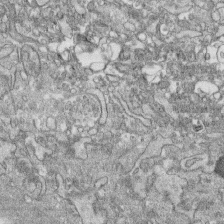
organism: Human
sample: CRL-1474